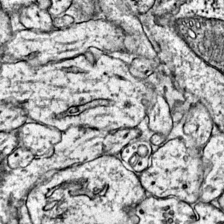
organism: Mouse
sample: Primary visual cortex